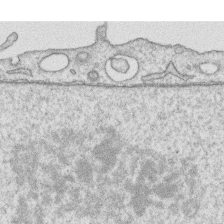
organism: Human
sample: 1205lu cells